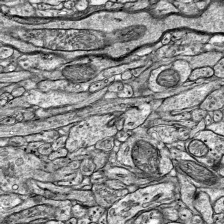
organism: Mouse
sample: Visual Cortex